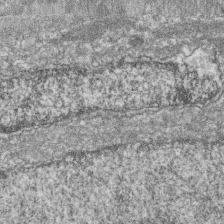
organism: Zebrafish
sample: Cilia; retinal pigment epithelium